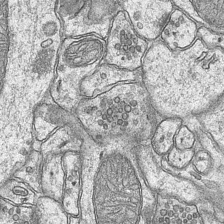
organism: Mouse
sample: CA1 Hippocampus